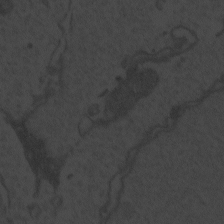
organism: Zebrafish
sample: Macrophage infected with Toxoplasma gondii